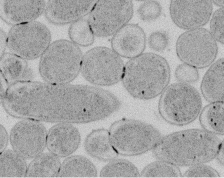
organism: E. coli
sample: Bacterial nucleoid